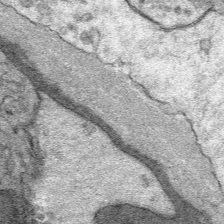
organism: Mouse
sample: Mouse Salivary gland